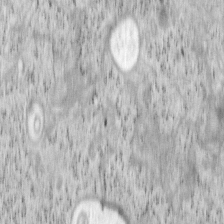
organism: Human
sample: HeLa cells